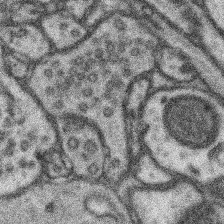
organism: Mouse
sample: Somatosensory cortex neuropil